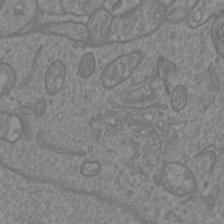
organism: Mouse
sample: Cortical neurons